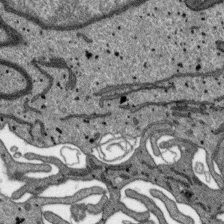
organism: Human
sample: Lung epithelial cells, uninfected (mock) control